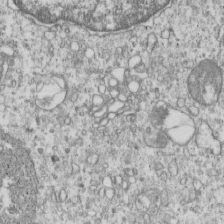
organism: Human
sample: MDA-MB-231 cells